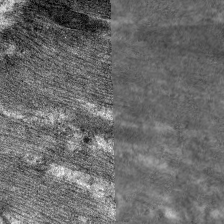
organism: C. elegans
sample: Pharynx